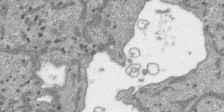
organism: Human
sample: Lung epithelial cells infected with SARS-CoV-2